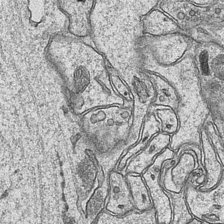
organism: Mouse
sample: CA1 Hippocampus